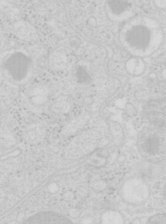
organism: Mouse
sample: Pancreas